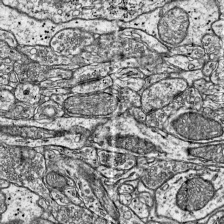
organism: Mouse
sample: Visual Cortex